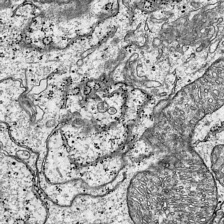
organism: Mouse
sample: Visual Cortex